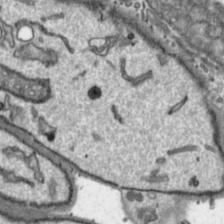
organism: Toxoplasma gondii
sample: Parasites in a vacuole inside a host cell